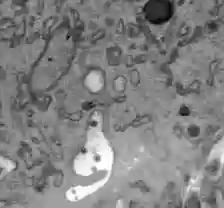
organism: C57BL Mouse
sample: Liver